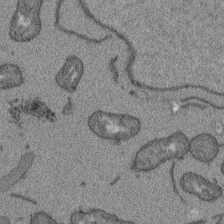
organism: Arabidopsis thaliana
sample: Root tip